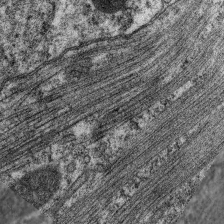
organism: C. elegans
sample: Pharynx